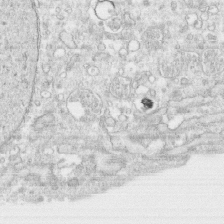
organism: Human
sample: CRL-1474